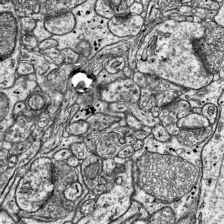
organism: Mouse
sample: Visual Cortex